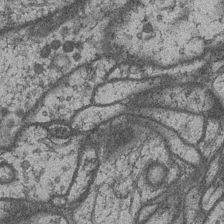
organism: Drosophila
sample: Optic medulla